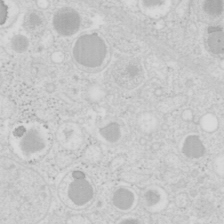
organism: Mouse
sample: Pancreas